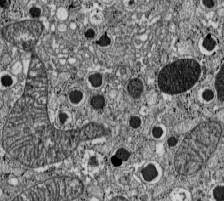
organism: C57BL Mouse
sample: Pancreatic islet